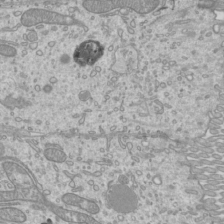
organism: Mouse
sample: Cilia; mouse epididymis